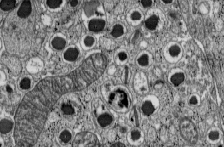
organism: C57BL Mouse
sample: Pancreatic islet